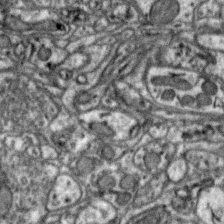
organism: Zebra finch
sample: Brain